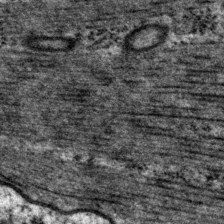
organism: P. pacificus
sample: Pharynx